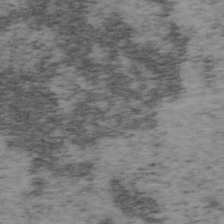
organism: Mouse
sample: OT-I killer T cells with ID8 ovarian cancer cells